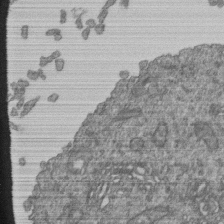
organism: Human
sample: Retinal organoid Rod and Cone cells